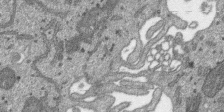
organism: Human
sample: Lung epithelial cells infected with SARS-CoV-2